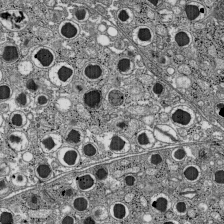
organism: C57BL Mouse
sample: Pancreatic islet